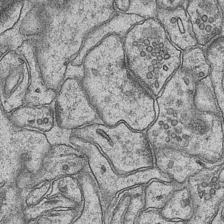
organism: Mouse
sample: CA1 Hippocampus